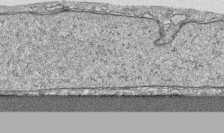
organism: Human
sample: CRL-1474